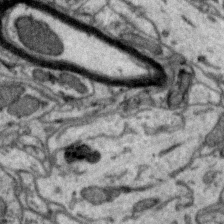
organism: Zebra finch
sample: Brain